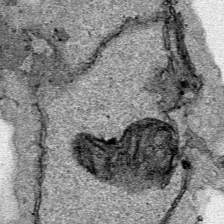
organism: Human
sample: Mitochondria in HCT116 cells